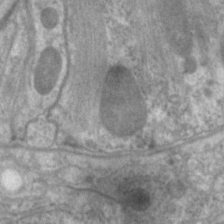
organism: C. elegans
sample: Pharynx